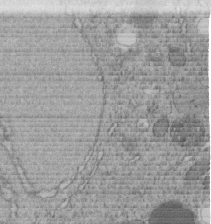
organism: C. elegans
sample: C. elegans embryo early stage